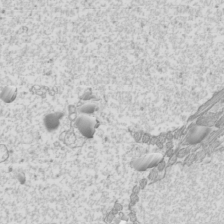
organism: Mouse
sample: Cilia; mouse epididymis